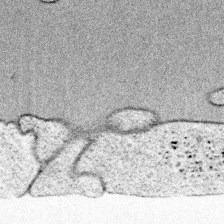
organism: Human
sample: HeLa cells